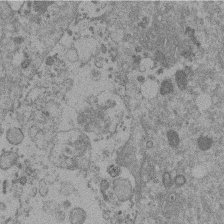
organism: Mouse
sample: Dividing mouse embryo 1 cell stage